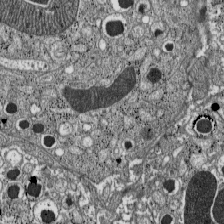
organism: C57BL Mouse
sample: Pancreatic islet